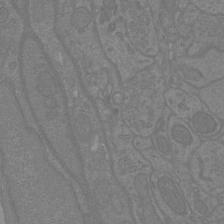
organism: Mouse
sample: Cortical neurons